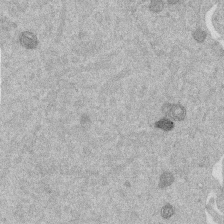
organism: Mouse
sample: Dividing mouse embryo 1 cell stage